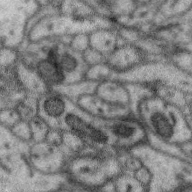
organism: Zebra finch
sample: Brain